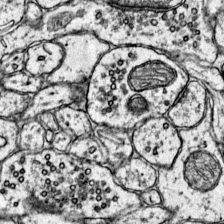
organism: Mouse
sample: Primary visual cortex